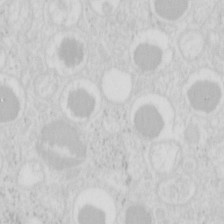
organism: Mouse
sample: Pancreas